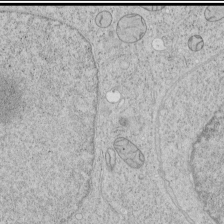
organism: Human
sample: Mitochondria in HCT116 cells